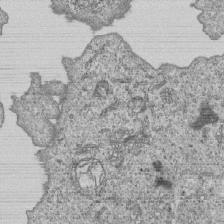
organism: Human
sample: MDA-MB-231 cells